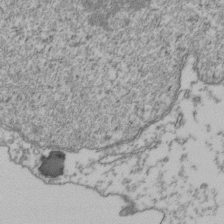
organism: Human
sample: Activated Jurkat CD4+ T cells